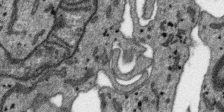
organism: Human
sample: Lung epithelial cells, uninfected (mock) control